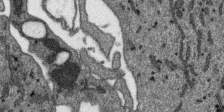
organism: Human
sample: Lung epithelial cells infected with SARS-CoV-2